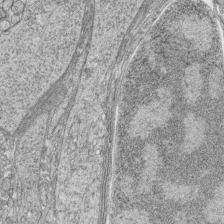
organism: Zebrafish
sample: synaptic ribbons in rod cells and cone cells